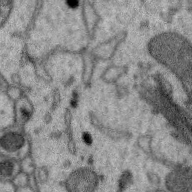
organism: Zebra finch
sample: Brain